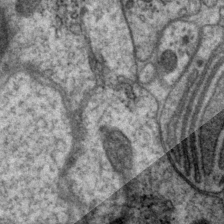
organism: P. pacificus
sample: Pharynx